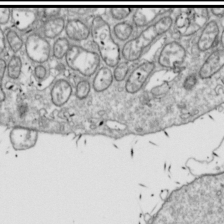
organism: Drosophila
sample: Cell division; meiosis; drosophila spermatocytes